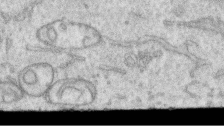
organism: Human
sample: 1205lu cells